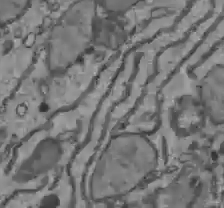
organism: C57BL Mouse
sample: Liver